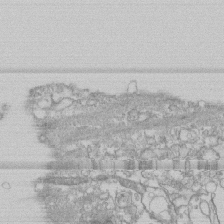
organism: Human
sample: CRL-1474